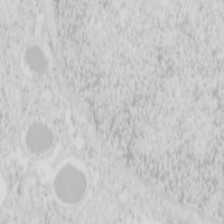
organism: Mouse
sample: Pancreas